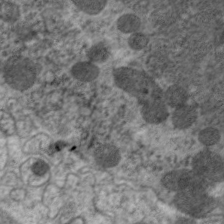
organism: C. elegans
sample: Pharynx